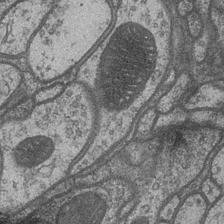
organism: Drosophila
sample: Optic medulla